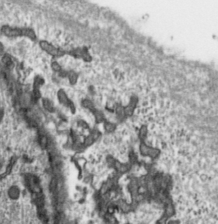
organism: Toxoplasma gondii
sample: Parasites in a vacuole inside a host cell